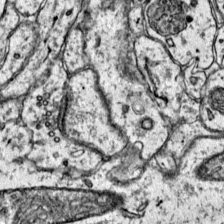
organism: Mouse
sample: Primary visual cortex